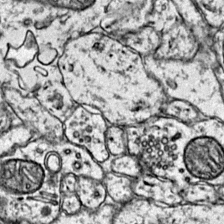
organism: Mouse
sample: Primary visual cortex